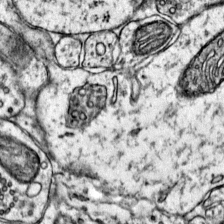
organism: Mouse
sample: Primary visual cortex